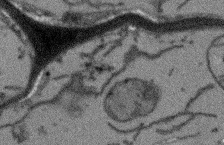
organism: Arabidopsis thaliana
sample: Root tip